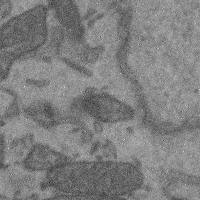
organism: Mouse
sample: Cerebral cortex